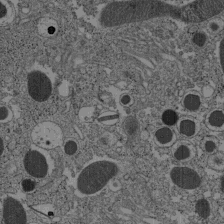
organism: C57BL Mouse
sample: Pancreatic islet